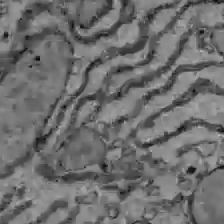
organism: C57BL Mouse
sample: Liver